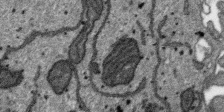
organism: Human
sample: Lung epithelial cells, uninfected (mock) control